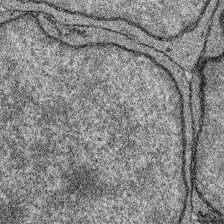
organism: Zebrafish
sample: Larval olfactory bulb